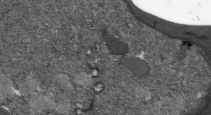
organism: Plasmodium falciparum